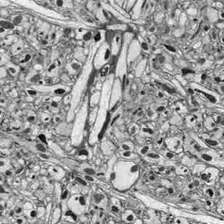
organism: Drosophila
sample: Optic lobe